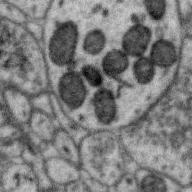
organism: Zebra finch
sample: Brain